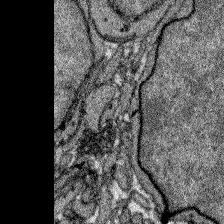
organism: Zebrafish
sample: Larval olfactory bulb